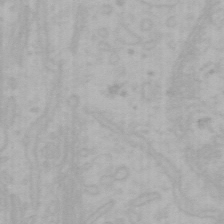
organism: Mouse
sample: Choroid plexus